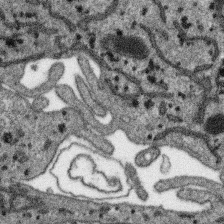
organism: Human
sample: Lung epithelial cells infected with SARS-CoV-2